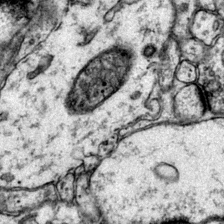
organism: Mouse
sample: Primary visual cortex